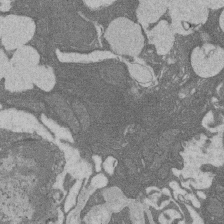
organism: Rat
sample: Salivary granule